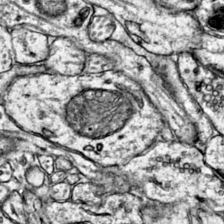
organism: Mouse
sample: Primary visual cortex